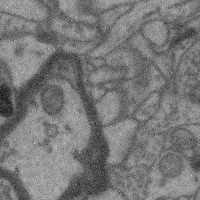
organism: Mouse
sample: Cerebral cortex